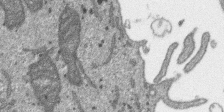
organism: Human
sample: Lung epithelial cells infected with SARS-CoV-2